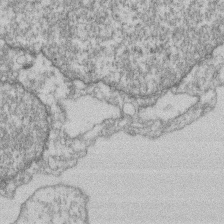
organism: Mouse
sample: T cell stromal cell synapse